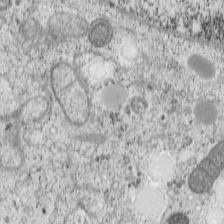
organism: African green monkey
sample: COS-7 cells